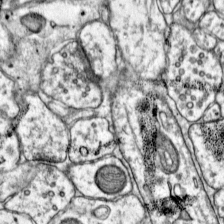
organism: Mouse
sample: Primary visual cortex